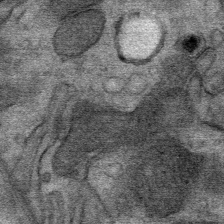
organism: Mouse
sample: Mouse Salivary gland